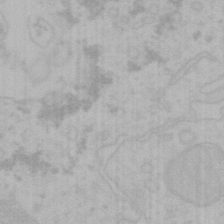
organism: Mouse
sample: Choroid plexus